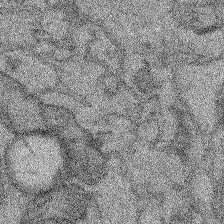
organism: Human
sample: HeLa cells